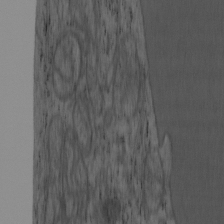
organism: Human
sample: HeLa cells